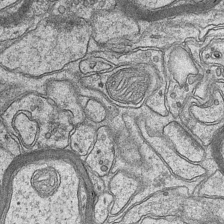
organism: Mouse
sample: CA1 Hippocampus